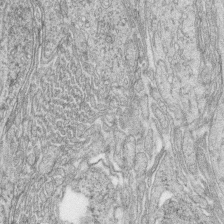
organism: Zebrafish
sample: synaptic ribbons in rod cells and cone cells